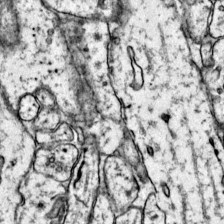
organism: Mouse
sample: Primary visual cortex